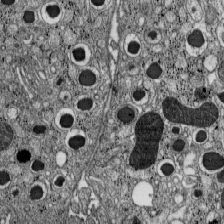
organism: C57BL Mouse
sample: Pancreatic islet